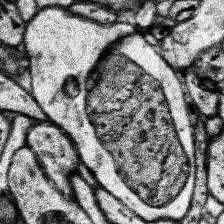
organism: Human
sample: Temporal Lobe